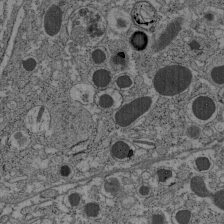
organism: C57BL Mouse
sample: Pancreatic islet